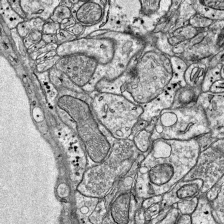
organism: Mouse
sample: Visual Cortex